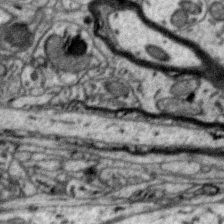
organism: Zebra finch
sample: Brain